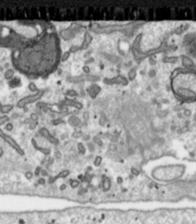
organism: Toxoplasma gondii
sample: Parasites in a vacuole inside a host cell